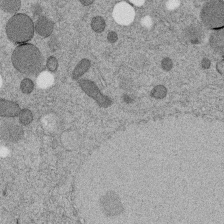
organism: C. elegans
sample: C. elegans embryo early stage